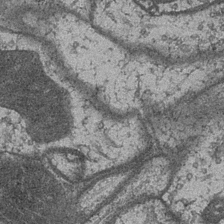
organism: Drosophila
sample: Optic medulla